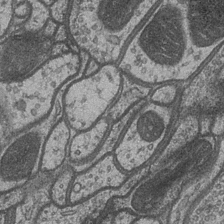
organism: Drosophila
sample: Optic medulla